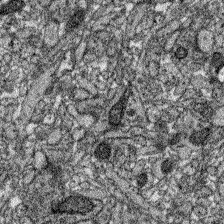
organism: Zebrafish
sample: Larval olfactory bulb